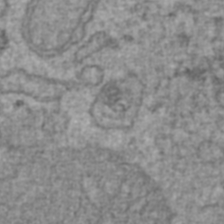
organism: Human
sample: Blood